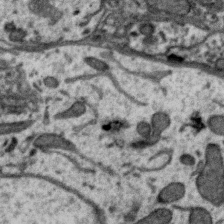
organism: Zebra finch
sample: Brain